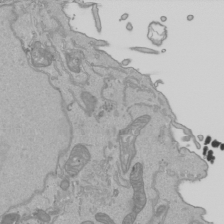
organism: Human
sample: Mitochondria in HCT116 cells